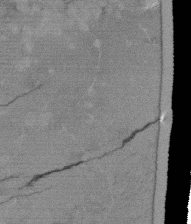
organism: Tetrahymena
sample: Cilia in tetrahymena